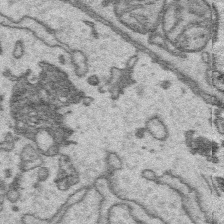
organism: Platynereis dumerilii